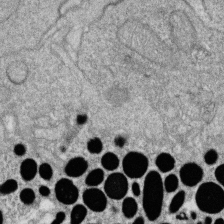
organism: Zebrafish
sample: Cilia; retinal pigment epithelium